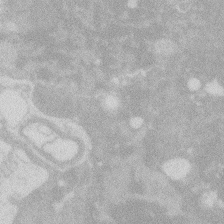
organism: Zebrafish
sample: Macrophage